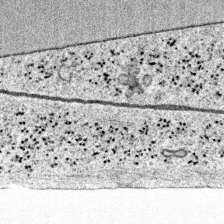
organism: Human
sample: HeLa cells